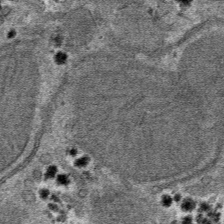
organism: Mouse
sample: Mouse hepatocytes